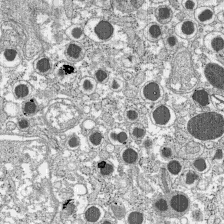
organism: C57BL Mouse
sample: Pancreatic islet